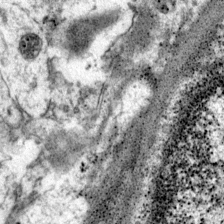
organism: Mouse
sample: Primary visual cortex